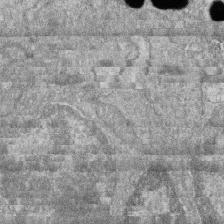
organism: Zebrafish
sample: Cilia; retinal pigment epithelium